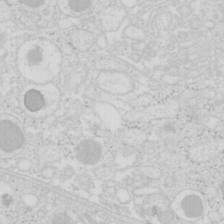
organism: Mouse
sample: Pancreas